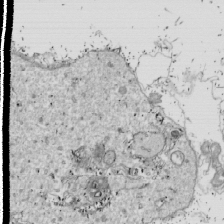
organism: Drosophila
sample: Cell division; meiosis; drosophila spermatocytes